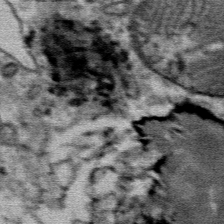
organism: Mouse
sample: Mouse Salivary gland